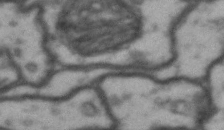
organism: Drosophila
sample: Brain